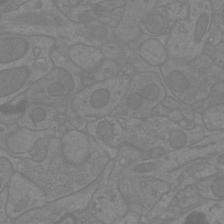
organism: Mouse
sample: Cortical neurons